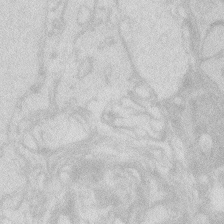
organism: Zebrafish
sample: Macrophage